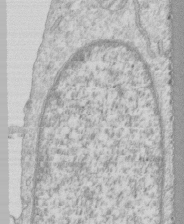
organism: Human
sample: CRL-1474